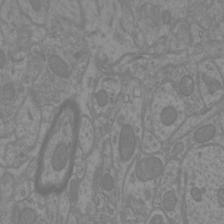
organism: Mouse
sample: Cortical neurons